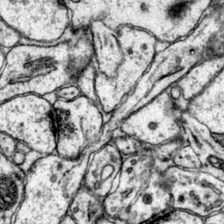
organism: Mouse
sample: Primary visual cortex